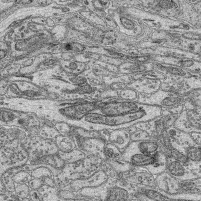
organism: Mouse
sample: Retina